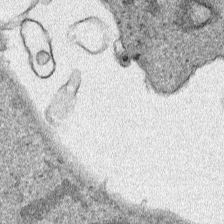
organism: Human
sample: Mitochondria in HCT116 cells